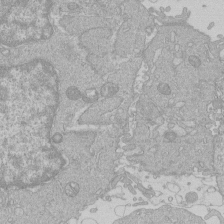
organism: Human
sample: Macrophage cells